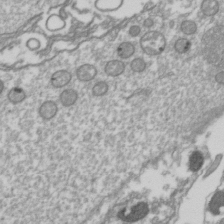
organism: Drosophila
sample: Cell division; meiosis; drosophila spermatocytes